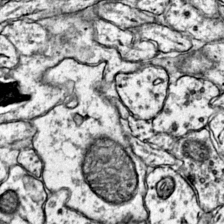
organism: Mouse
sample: Primary visual cortex